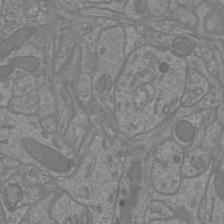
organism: Mouse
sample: Cortical neurons